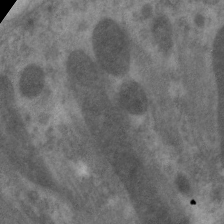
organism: C. elegans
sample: Pharynx